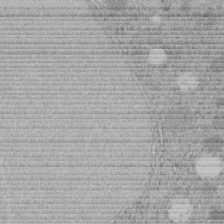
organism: C. elegans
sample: C. elegans embryo early stage